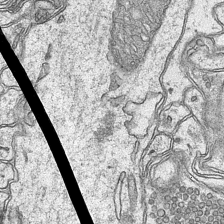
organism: Mouse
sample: CA1 Hippocampus